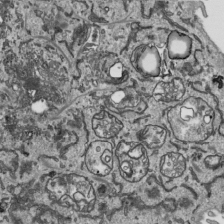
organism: Human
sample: Mitochondria in HCT116 cells